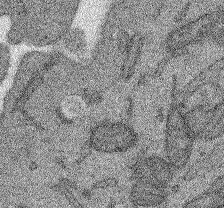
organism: Human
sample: HeLa cells